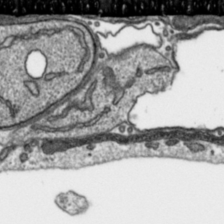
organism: Toxoplasma gondii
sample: Parasites in a vacuole inside a host cell